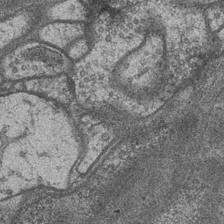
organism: Drosophila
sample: Optic medulla